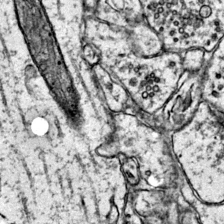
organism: Mouse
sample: Primary visual cortex